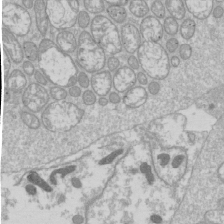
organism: Drosophila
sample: Cell division; meiosis; drosophila spermatocytes